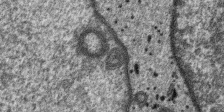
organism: Human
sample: Lung epithelial cells infected with SARS-CoV-2